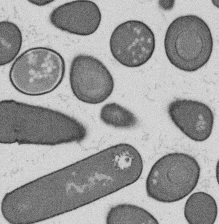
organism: B. subtilis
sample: Bacterial spore